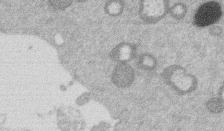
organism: Mouse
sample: Dividing mouse embryo 1 cell stage